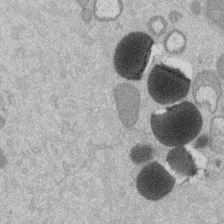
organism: Mouse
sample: Dividing mouse embryo 1 cell stage